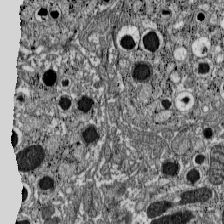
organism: C57BL Mouse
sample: Pancreatic islet